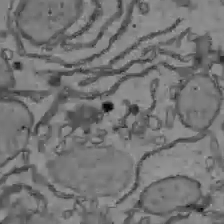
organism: C57BL Mouse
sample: Liver